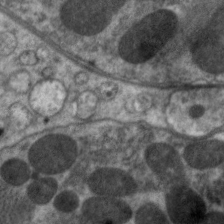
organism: C. elegans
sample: Pharynx